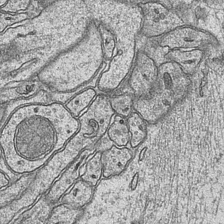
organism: Mouse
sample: CA1 Hippocampus